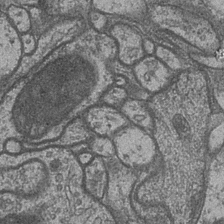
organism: Drosophila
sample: Optic medulla